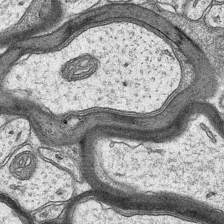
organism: Mouse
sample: CA1 Hippocampus